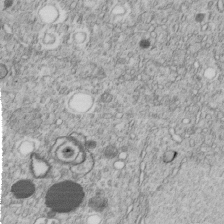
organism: C. elegans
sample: C. elegans embryo early stage